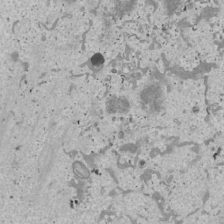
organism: Human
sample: Mitochondria in U2OS cells